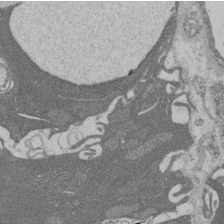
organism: Rat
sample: Salivary granule